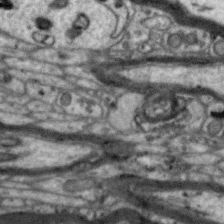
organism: Zebra finch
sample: Brain